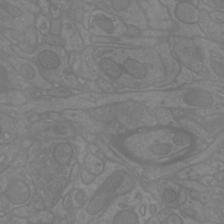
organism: Mouse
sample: Cortical neurons